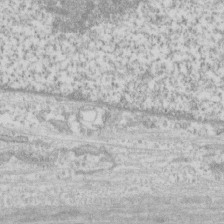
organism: Human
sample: CRL-1474